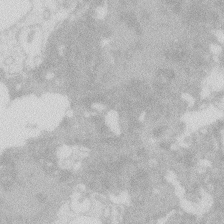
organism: Zebrafish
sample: Macrophage